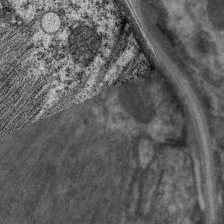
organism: C. elegans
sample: Pharynx